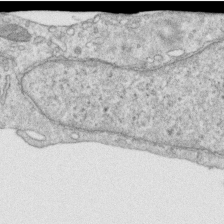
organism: Human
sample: Centriole in RPE cells